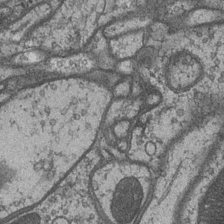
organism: Drosophila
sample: Optic medulla